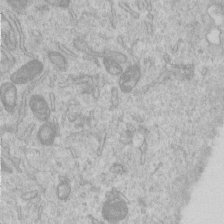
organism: Human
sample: Centriole in RPE cells